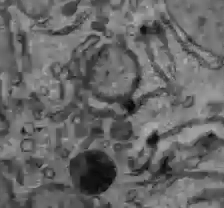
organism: C57BL Mouse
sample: Liver